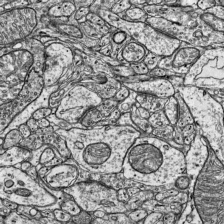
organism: Mouse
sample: Visual Cortex